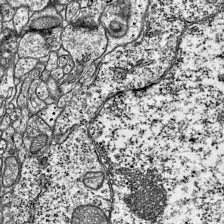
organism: Mouse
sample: Visual Cortex